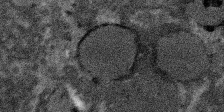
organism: Human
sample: Lung epithelial cells infected with SARS-CoV-2